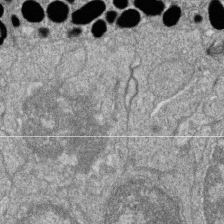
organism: Zebrafish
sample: Cilia; retinal pigment epithelium